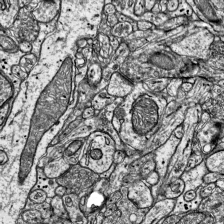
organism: Mouse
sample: Visual Cortex